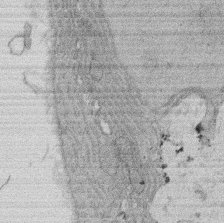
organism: Rat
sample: Salivary granule